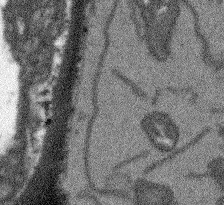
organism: Arabidopsis thaliana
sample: Root tip